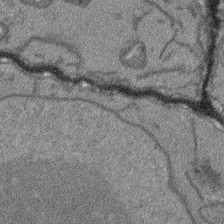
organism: Arabidopsis thaliana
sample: Root tip